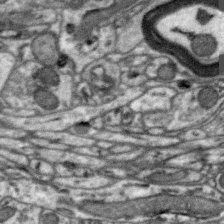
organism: Zebra finch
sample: Brain